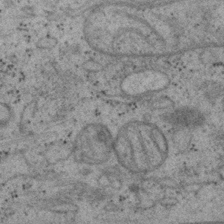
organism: Human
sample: HeLa cells